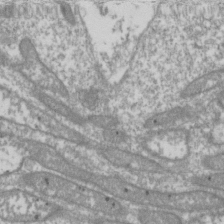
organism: Drosophila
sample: Cell division; meiosis; drosophila spermatocytes